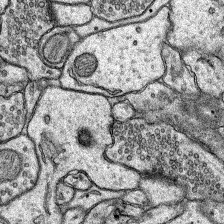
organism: Rat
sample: Hippocampus